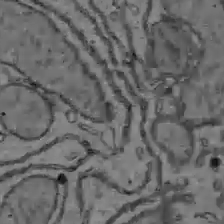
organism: C57BL Mouse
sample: Liver